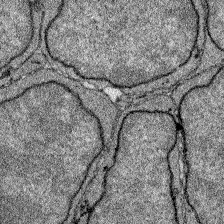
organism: Zebrafish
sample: Larval olfactory bulb